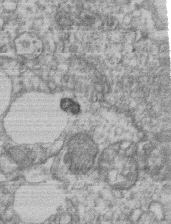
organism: Mouse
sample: T cell stromal cell synapse